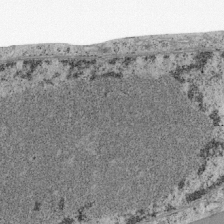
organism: Human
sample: HeLa cells